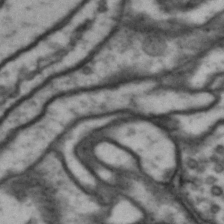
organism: Drosophila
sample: Brain